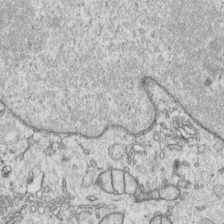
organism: Human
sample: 1205lu cells